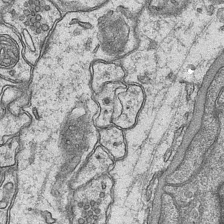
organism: Mouse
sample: CA1 Hippocampus